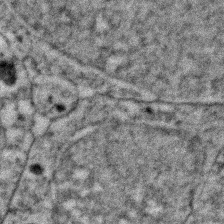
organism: Zebrafish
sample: Zebrafish embryo